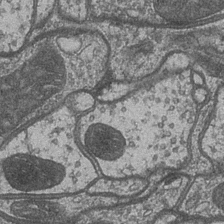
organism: Drosophila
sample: Optic medulla